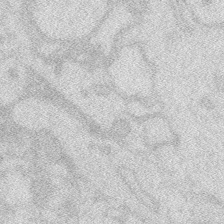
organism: Zebrafish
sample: Macrophage